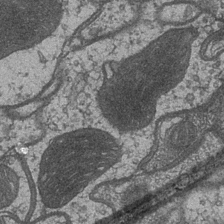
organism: Drosophila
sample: Optic medulla